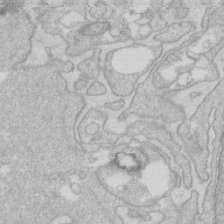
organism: Human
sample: Fibroblast cells